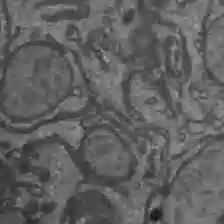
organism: C57BL Mouse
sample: Liver